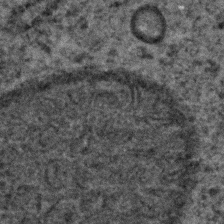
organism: C. elegans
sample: C. elegans embryo